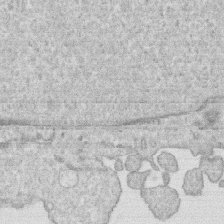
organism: Human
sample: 1205lu cells